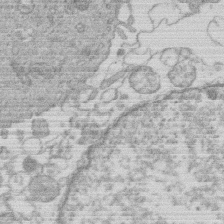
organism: Human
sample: Macrophage cells